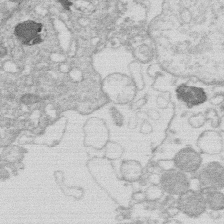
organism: Human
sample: Macrophage cells